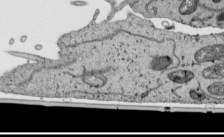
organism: Human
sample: Mitochondria in HCT116 cells